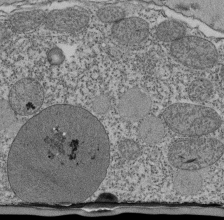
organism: Tetrahymena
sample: Cilia in tetrahymena